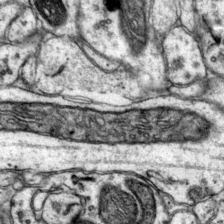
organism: Mouse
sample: Primary visual cortex